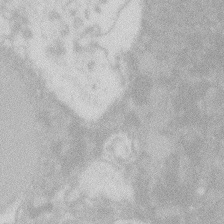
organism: Zebrafish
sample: Macrophage